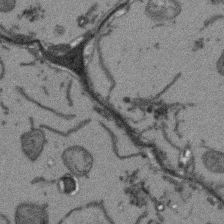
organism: Arabidopsis thaliana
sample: Root tip